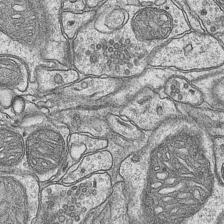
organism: Mouse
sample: CA1 Hippocampus